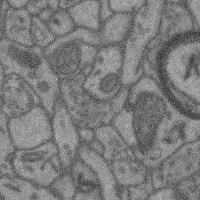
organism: Mouse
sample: Cerebral cortex